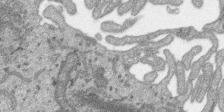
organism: Human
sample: Lung epithelial cells infected with SARS-CoV-2